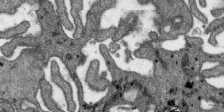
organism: Human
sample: Lung epithelial cells, uninfected (mock) control